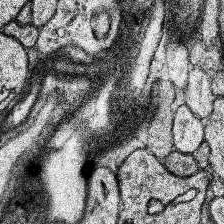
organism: Human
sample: Temporal Lobe